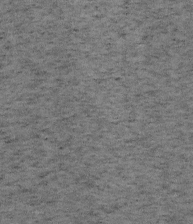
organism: Mouse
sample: OT-I killer T cells with ID8 ovarian cancer cells